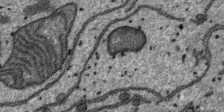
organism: Human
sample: Lung epithelial cells, uninfected (mock) control